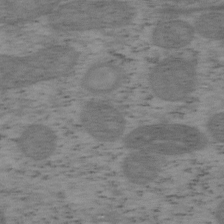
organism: Mouse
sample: OT-I killer T cells with ID8 ovarian cancer cells